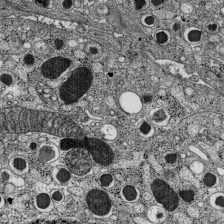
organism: C57BL Mouse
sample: Pancreatic islet